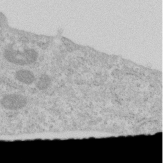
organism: Human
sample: Centriole in RPE cells